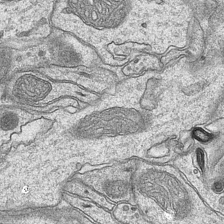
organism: Mouse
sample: CA1 Hippocampus